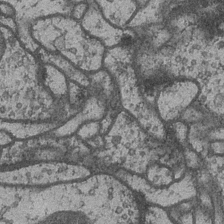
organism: Drosophila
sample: Optic medulla